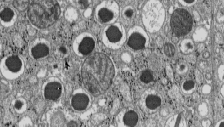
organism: C57BL Mouse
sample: Pancreatic islet